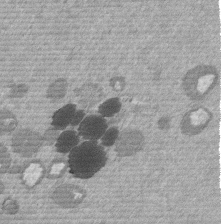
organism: Mouse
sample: Dividing mouse embryo 1 cell stage